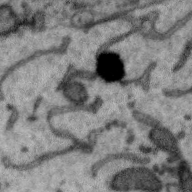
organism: Zebra finch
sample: Brain